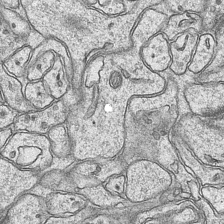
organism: Mouse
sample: CA1 Hippocampus